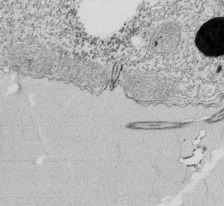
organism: Tetrahymena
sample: Cilia in tetrahymena